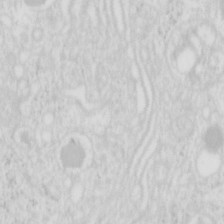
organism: Mouse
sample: Pancreas